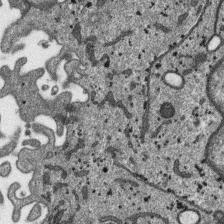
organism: Human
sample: Lung epithelial cells infected with SARS-CoV-2